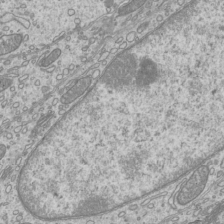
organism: Mouse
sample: Cilia; mouse epididymis